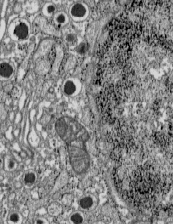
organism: C57BL Mouse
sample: Pancreatic islet